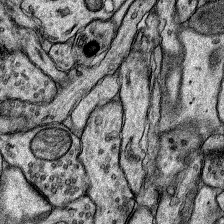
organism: Rat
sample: Hippocampus